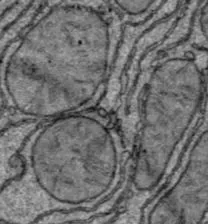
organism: C57BL Mouse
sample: Liver